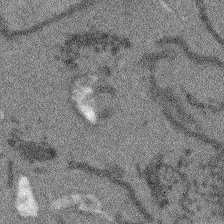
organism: Arabidopsis thaliana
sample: Root tip